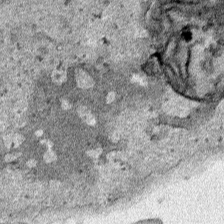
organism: Human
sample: Mitochondria in HCT116 cells